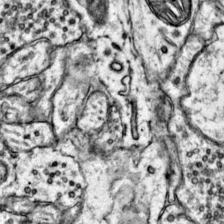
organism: Mouse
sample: Primary visual cortex